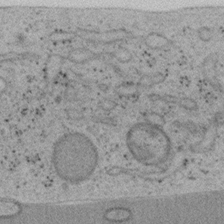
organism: Human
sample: HeLa cells